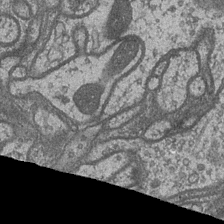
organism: Drosophila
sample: Optic medulla